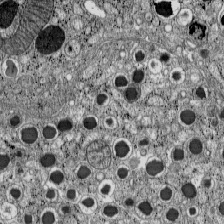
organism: C57BL Mouse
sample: Pancreatic islet